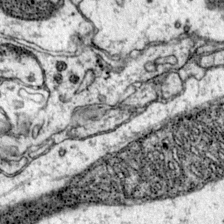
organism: Mouse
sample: Primary visual cortex